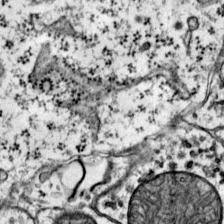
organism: Mouse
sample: Primary visual cortex